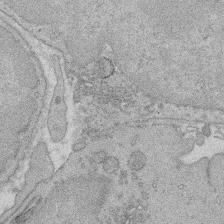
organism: Rat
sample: Salivary granule